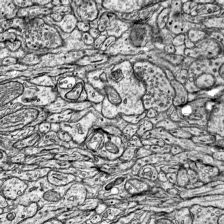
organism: Mouse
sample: Visual Cortex